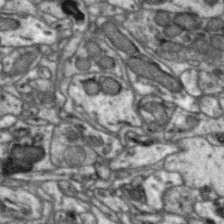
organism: Zebra finch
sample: Brain